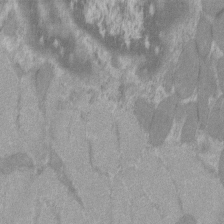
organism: C57BL Mouse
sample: Tibialis anterior muscle cell